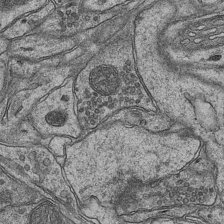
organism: Mouse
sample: CA1 Hippocampus